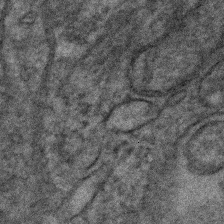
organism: Human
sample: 1205lu cells